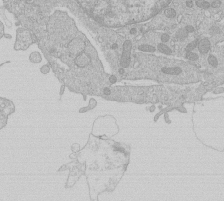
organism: Human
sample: Macrophage cells